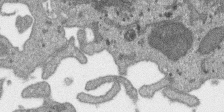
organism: Human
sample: Lung epithelial cells infected with SARS-CoV-2